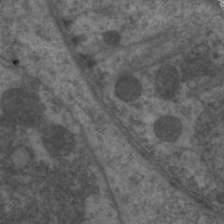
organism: C. elegans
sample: Pharynx